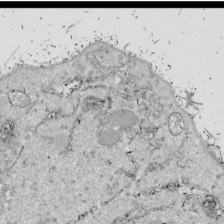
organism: Drosophila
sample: Cell division; meiosis; drosophila spermatocytes